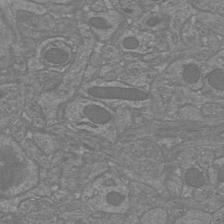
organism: Mouse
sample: Cortical neurons